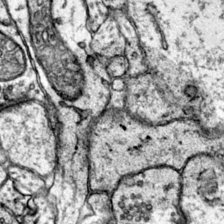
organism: Mouse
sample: Primary visual cortex